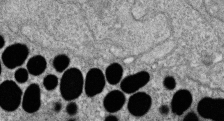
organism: Zebrafish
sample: Cilia; retinal pigment epithelium